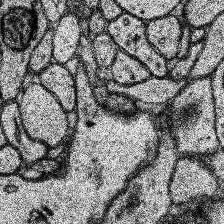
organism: Human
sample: Temporal Lobe